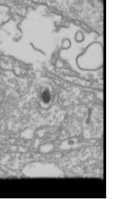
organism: Drosophila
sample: Cell division; meiosis; drosophila spermatocytes